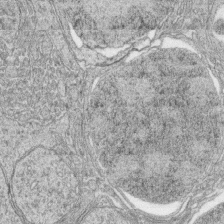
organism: Zebrafish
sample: synaptic ribbons in rod cells and cone cells